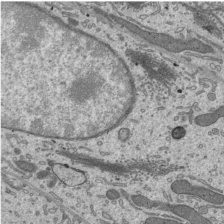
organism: Mouse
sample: Mouse epididymis efferent ductule cilia